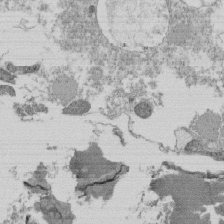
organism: Tetrahymena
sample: Cilia in tetrahymena